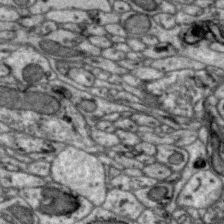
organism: Zebra finch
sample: Brain